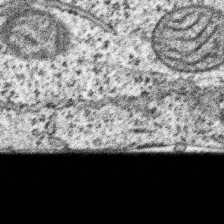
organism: Human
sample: HeLa cells